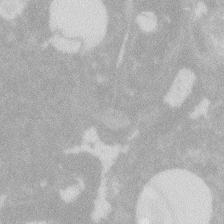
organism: Zebrafish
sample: Macrophage